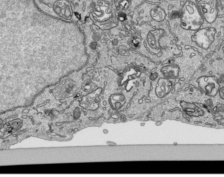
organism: Human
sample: Mitochondria in HCT116 cells